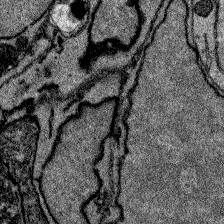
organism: Zebrafish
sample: Larval olfactory bulb